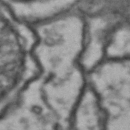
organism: Drosophila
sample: Brain